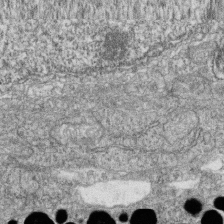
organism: Zebrafish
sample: Cilia; retinal pigment epithelium